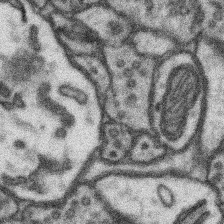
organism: Mouse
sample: Somatosensory cortex neuropil